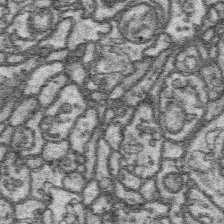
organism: Platynereis dumerilii